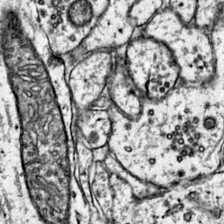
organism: Mouse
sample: Primary visual cortex